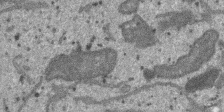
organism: Human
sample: Lung epithelial cells infected with SARS-CoV-2